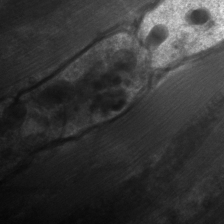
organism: C. elegans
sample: Pharynx